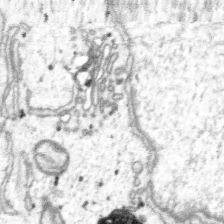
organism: Human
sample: HeLa cells